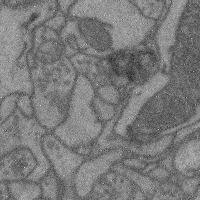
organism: Mouse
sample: Cerebral cortex